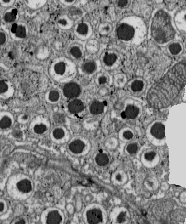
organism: C57BL Mouse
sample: Pancreatic islet